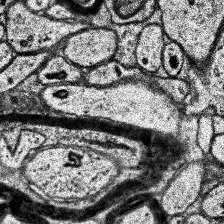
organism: Human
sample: Temporal Lobe